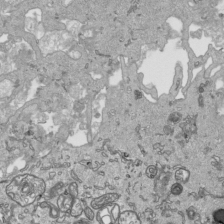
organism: Human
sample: Mitochondria in HCT116 cells